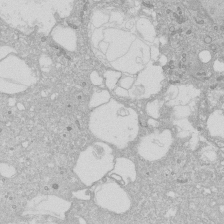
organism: Human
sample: Caco-2 cells